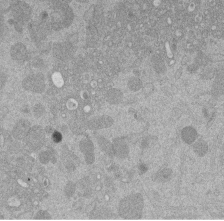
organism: Mouse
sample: Dividing mouse embryo 1 cell stage